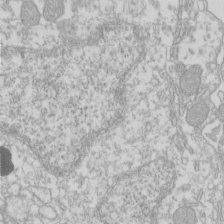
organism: Xenopus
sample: Cilia; centrioles in frog embryo cells